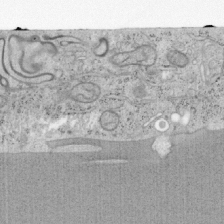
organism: Human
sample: HeLa cells